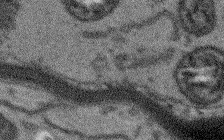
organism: Arabidopsis thaliana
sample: Root tip